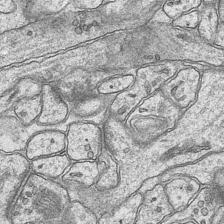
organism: Mouse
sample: CA1 Hippocampus